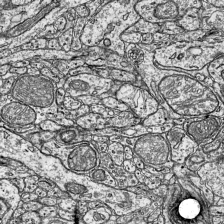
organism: Mouse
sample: Visual Cortex